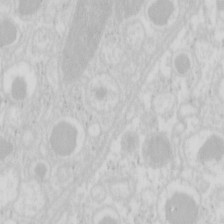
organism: Mouse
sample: Pancreas